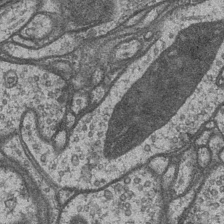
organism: Drosophila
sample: Optic medulla